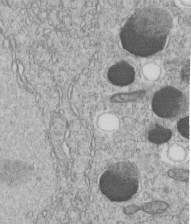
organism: C. elegans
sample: C. elegans embryo early stage